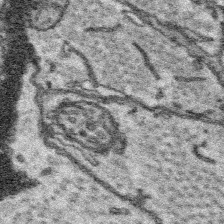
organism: Platynereis dumerilii